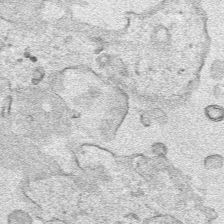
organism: Human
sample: Mitochondria in HCT116 cells